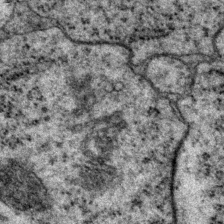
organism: P. pacificus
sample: Pharynx